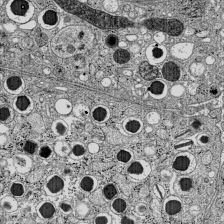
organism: C57BL Mouse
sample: Pancreatic islet